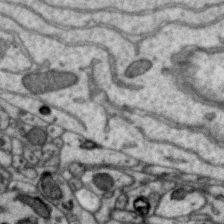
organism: Zebra finch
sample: Brain